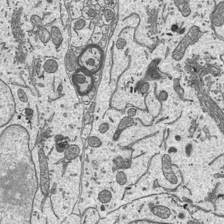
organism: Mouse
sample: Suprachiasmatic nucleus